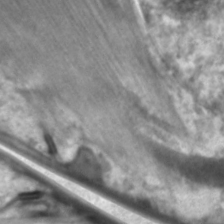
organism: C. elegans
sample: Pharynx